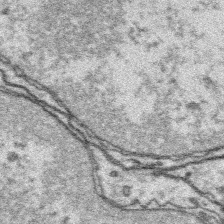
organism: Platynereis dumerilii